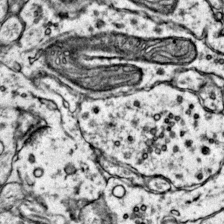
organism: Mouse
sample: Primary visual cortex